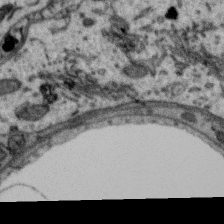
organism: Zebra finch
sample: Brain